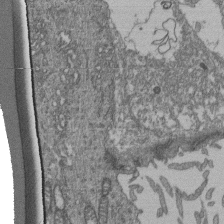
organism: Human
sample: Retinal organoid Rod and Cone cells